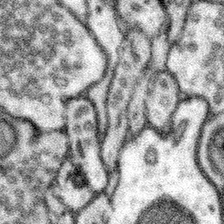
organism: Mouse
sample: Somatosensory cortex neuropil